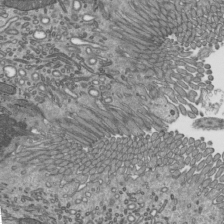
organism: Mouse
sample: Mouse epididymis efferent ductule cilia